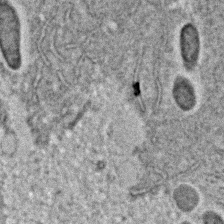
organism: C. elegans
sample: C. elegans embryo